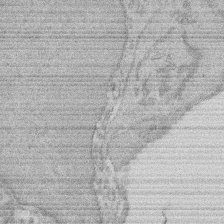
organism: Rat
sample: Salivary granule